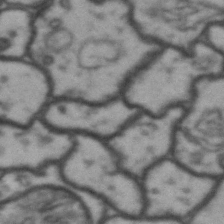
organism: Drosophila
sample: Brain